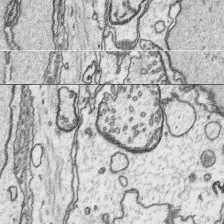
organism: Platynereis dumerilii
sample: Parapodia